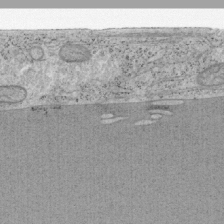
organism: Human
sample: HeLa cells